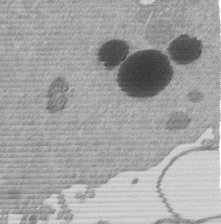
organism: Mouse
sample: Dividing mouse embryo 1 cell stage